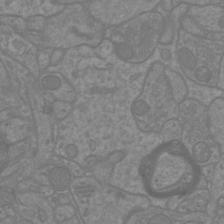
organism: Mouse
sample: Cortical neurons